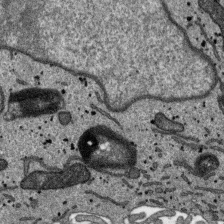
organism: Human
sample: Lung epithelial cells, uninfected (mock) control